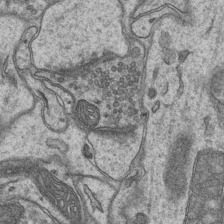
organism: Mouse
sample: CA1 Hippocampus